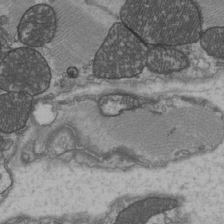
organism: C57BL Mouse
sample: Heart